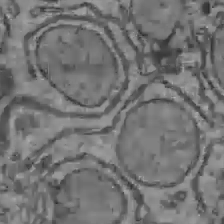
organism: C57BL Mouse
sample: Liver